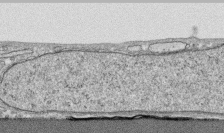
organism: Human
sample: CRL-1474